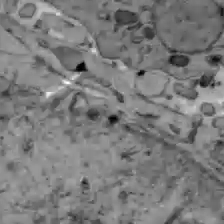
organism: C57BL Mouse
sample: Liver